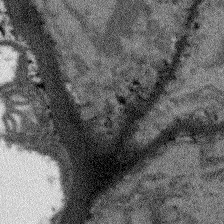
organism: Arabidopsis thaliana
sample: Root tip